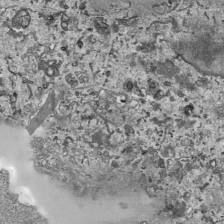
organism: Human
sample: Mitochondria in HCT116 cells